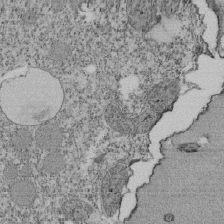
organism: Tetrahymena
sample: Cilia in tetrahymena